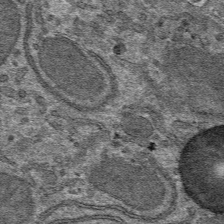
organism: Mouse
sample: Mouse hepatocytes